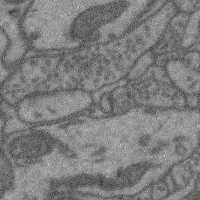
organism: Mouse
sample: Cerebral cortex